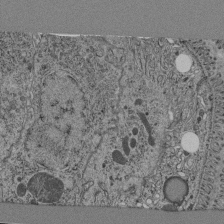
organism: C. elegans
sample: C. elegans pharynx